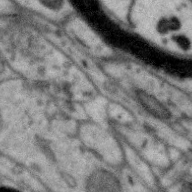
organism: Zebra finch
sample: Brain